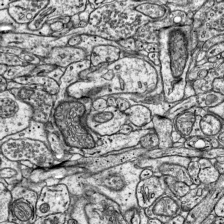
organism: Mouse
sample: Visual Cortex